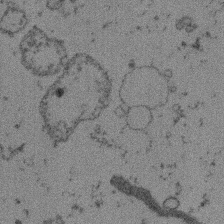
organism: Mouse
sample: Dividing mouse embryo 1 cell stage